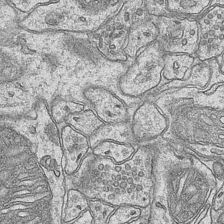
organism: Mouse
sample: CA1 Hippocampus